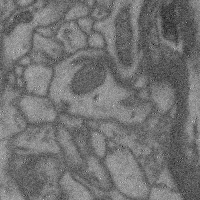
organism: Mouse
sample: Cerebral cortex